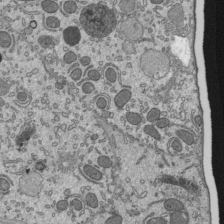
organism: Mouse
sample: Mouse epididymis efferent ductule cilia